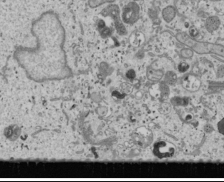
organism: Human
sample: Mitochondria in U2OS cells